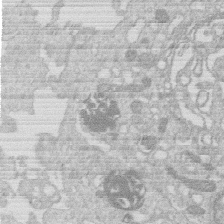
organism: Human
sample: Macrophage cells